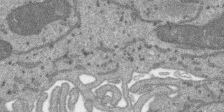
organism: Human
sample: Lung epithelial cells infected with SARS-CoV-2